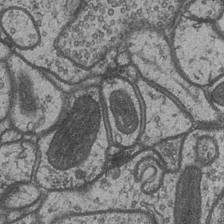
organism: Drosophila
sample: Optic medulla